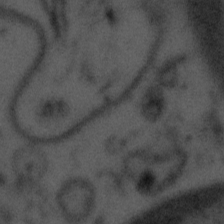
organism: Tuwongella immobilis